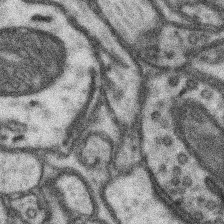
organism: Mouse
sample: Somatosensory cortex neuropil